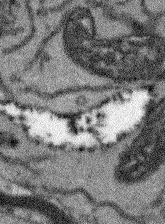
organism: Arabidopsis thaliana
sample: Root tip